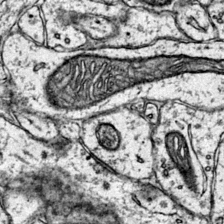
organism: Mouse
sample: Primary visual cortex